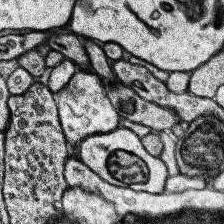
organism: Human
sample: Temporal Lobe